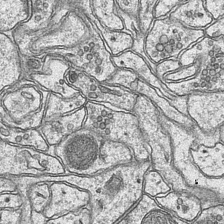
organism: Mouse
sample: CA1 Hippocampus